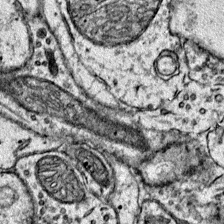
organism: Mouse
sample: Primary visual cortex